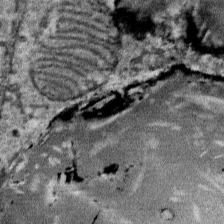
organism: Mouse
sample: Mouse Salivary gland